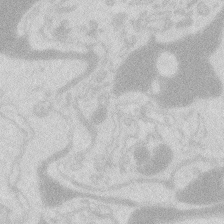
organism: Zebrafish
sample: Macrophage